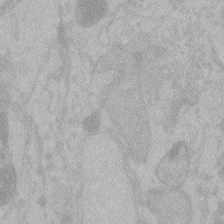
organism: Zebrafish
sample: Macrophage infected with Toxoplasma gondii